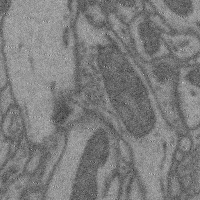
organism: Mouse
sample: Cerebral cortex